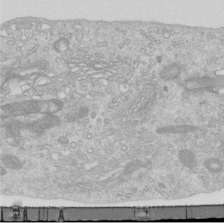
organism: Human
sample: Centriole in RPE cells